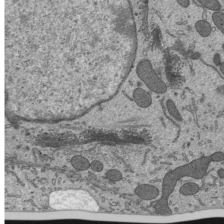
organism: Mouse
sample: Mouse epididymis efferent ductule cilia